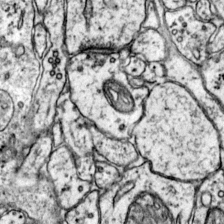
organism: Mouse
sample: Primary visual cortex